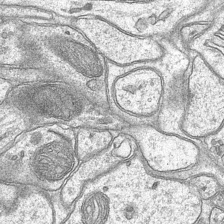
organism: Mouse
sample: CA1 Hippocampus